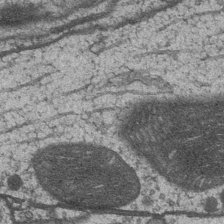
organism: Drosophila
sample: Optic medulla